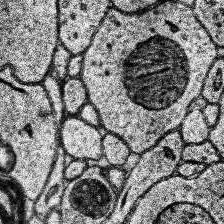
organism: Human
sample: Temporal Lobe